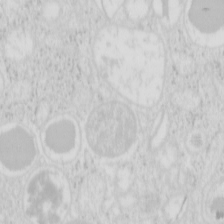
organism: Mouse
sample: Pancreas